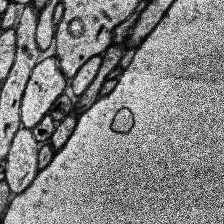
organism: Human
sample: Temporal Lobe